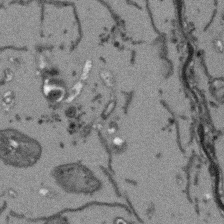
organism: Arabidopsis thaliana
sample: Root tip